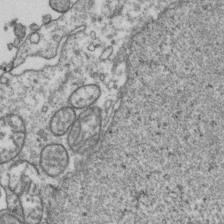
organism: Human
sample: Activated Jurkat CD4+ T cells